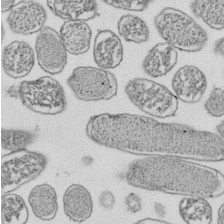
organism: E. coli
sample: Bacterial nucleoid